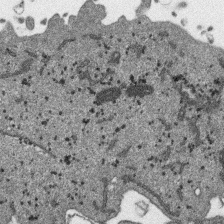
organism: Human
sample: Lung epithelial cells infected with SARS-CoV-2